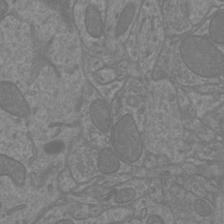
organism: Mouse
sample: Cortical neurons